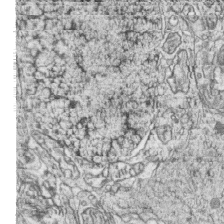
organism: Zebrafish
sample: synaptic ribbons in rod cells and cone cells